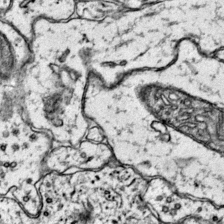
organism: Mouse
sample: Primary visual cortex